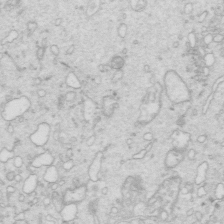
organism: Mouse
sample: Multiciliated cells